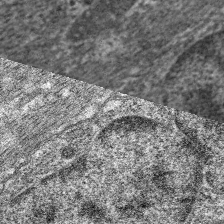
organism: C. elegans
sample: Pharynx